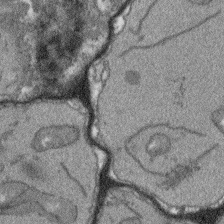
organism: Arabidopsis thaliana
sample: Root tip